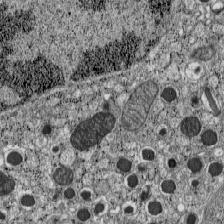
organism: C57BL Mouse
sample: Pancreatic islet